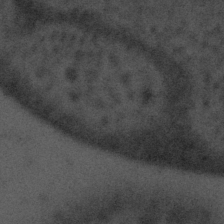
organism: Tuwongella immobilis